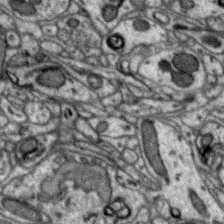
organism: Zebra finch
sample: Brain